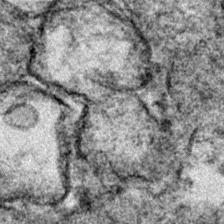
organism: Zebrafish